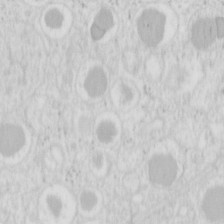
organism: Mouse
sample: Pancreas